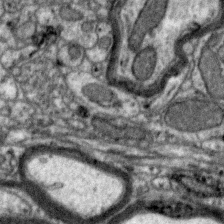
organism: Zebra finch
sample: Brain